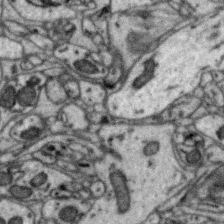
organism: Zebra finch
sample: Brain